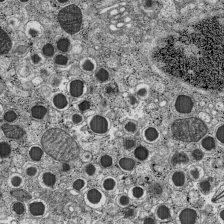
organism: C57BL Mouse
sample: Pancreatic islet